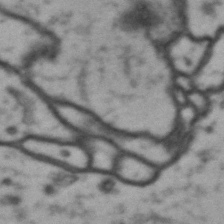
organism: Drosophila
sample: Brain